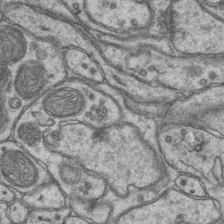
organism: Mouse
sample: CA1 Hippocampus